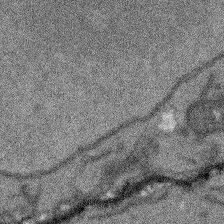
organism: Arabidopsis thaliana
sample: Root tip